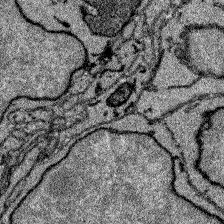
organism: Zebrafish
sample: Larval olfactory bulb